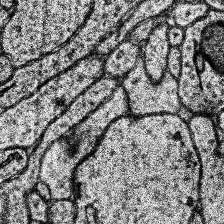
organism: Human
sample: Temporal Lobe